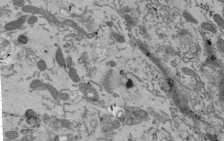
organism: Mouse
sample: ED-1 cell nuclei; centrioles